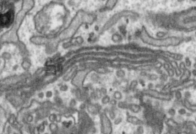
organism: Toxoplasma gondii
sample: Parasites in a vacuole inside a host cell